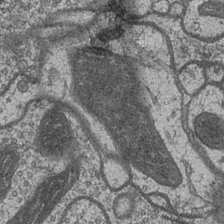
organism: Drosophila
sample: Optic medulla